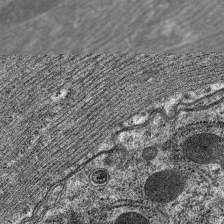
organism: C. elegans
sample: Pharynx